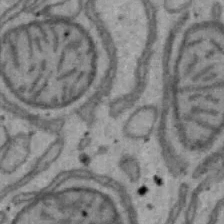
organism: Mouse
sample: Liver